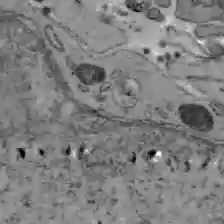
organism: C57BL Mouse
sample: Liver